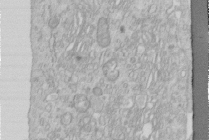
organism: Human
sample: Centriole in RPE cells